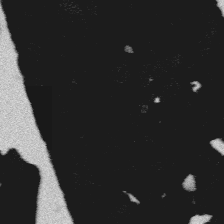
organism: Platynereis dumerilii